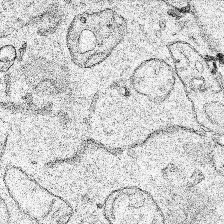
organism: Human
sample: Mitochondria in HCT116 cells